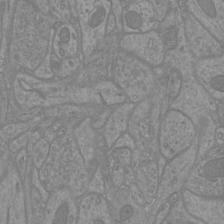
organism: Mouse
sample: Cortical neurons